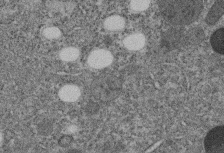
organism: C. elegans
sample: C. elegans embryo early stage